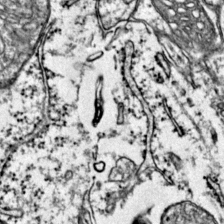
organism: Mouse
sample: Primary visual cortex